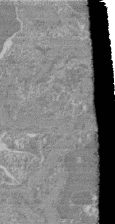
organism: Mouse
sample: Glomerulus